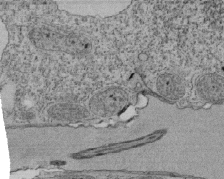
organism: Tetrahymena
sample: Cilia in tetrahymena